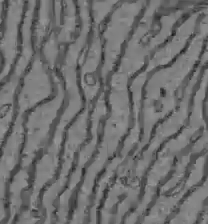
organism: C57BL Mouse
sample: Liver